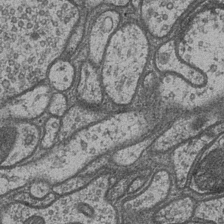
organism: Drosophila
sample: Optic medulla